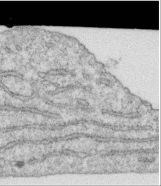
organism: Human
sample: Centriole in RPE cells